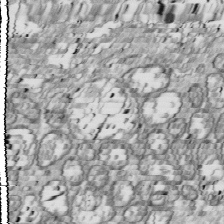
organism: Drosophila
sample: Cell division; meiosis; drosophila spermatocytes